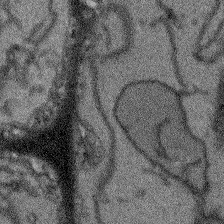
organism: Arabidopsis thaliana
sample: Root tip